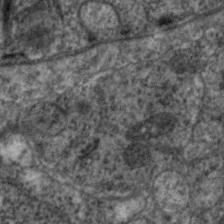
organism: C. elegans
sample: Pharynx